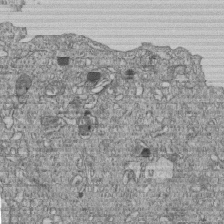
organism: Human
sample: MDA-MB-231 cells